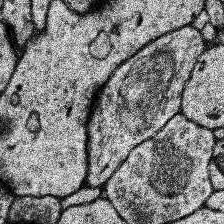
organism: Human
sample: Temporal Lobe